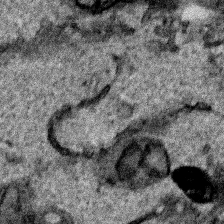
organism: Human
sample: Mitochondria in HCT116 cells